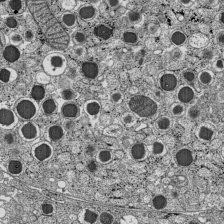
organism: C57BL Mouse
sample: Pancreatic islet